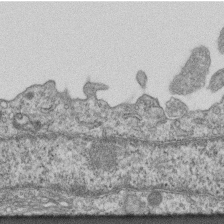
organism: Mouse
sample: Centriole in ependymal cells